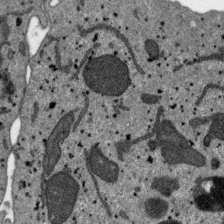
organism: Human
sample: Lung epithelial cells, uninfected (mock) control